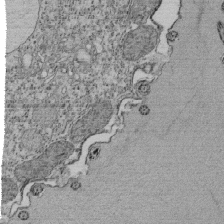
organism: Tetrahymena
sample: Cilia in tetrahymena